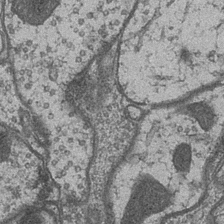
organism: Drosophila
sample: Optic medulla